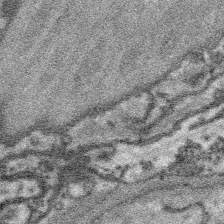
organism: Platynereis dumerilii